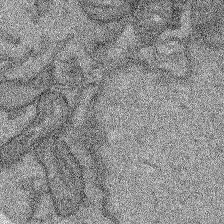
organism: Human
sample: HeLa cells